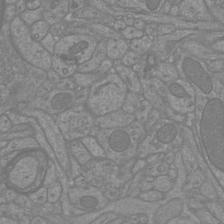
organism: Mouse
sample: Cortical neurons